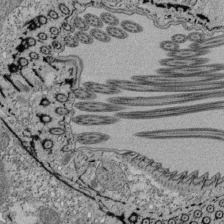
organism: Tetrahymena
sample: Cilia in tetrahymena